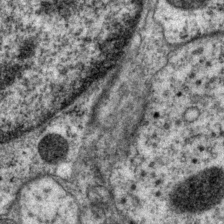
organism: P. pacificus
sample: Pharynx